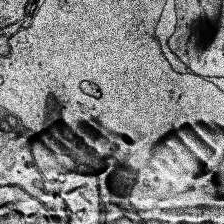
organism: Human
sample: Temporal Lobe